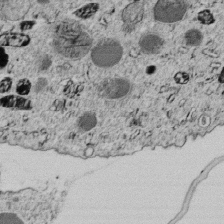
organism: C. elegans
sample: C. elegans embryo early stage